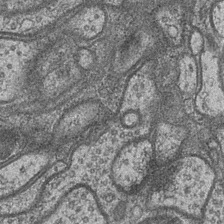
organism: Drosophila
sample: Optic medulla